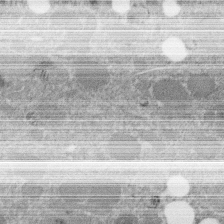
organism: C. elegans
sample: C. elegans embryo early stage